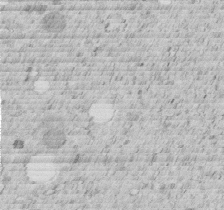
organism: C. elegans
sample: C. elegans embryo early stage